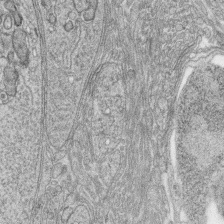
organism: Zebrafish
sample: synaptic ribbons in rod cells and cone cells